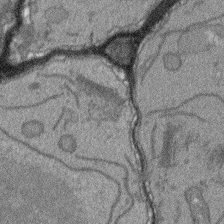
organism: Arabidopsis thaliana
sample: Root tip